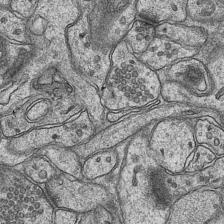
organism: Mouse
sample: CA1 Hippocampus